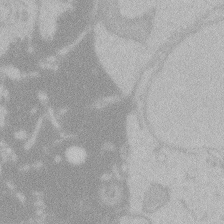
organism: Zebrafish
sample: Macrophage infected with Toxoplasma gondii